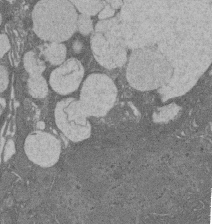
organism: Rat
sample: Salivary granule